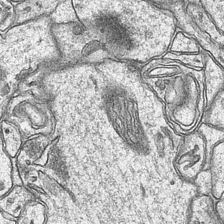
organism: Mouse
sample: CA1 Hippocampus